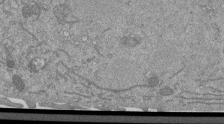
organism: Mouse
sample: ED-1 cell nuclei; centrioles